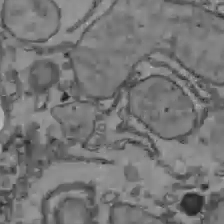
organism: C57BL Mouse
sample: Liver